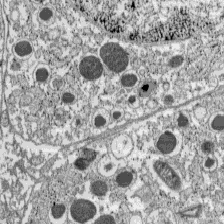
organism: C57BL Mouse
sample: Pancreatic islet